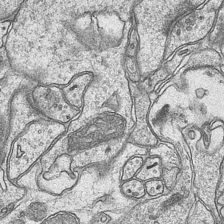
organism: Mouse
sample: CA1 Hippocampus